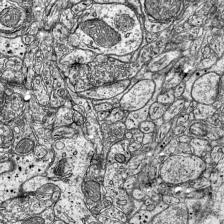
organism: Mouse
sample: Visual Cortex